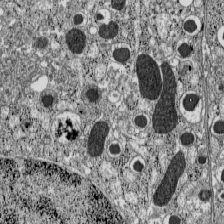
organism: C57BL Mouse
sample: Pancreatic islet